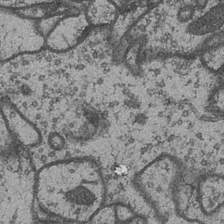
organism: Drosophila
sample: Optic medulla